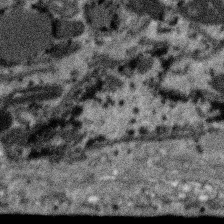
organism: Human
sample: Lung epithelial cells infected with SARS-CoV-2